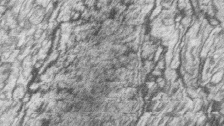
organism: Zebrafish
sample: synaptic ribbons in rod cells and cone cells